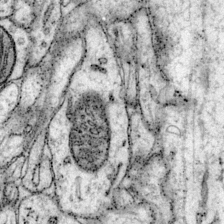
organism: Mouse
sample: Primary visual cortex